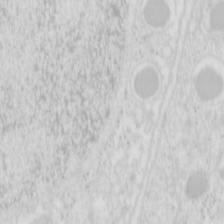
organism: Mouse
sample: Pancreas